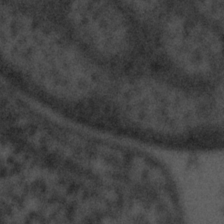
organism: Tuwongella immobilis